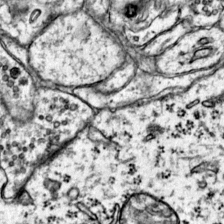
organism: Mouse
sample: Primary visual cortex